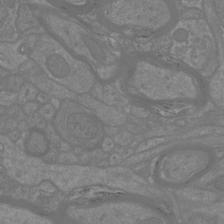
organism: Mouse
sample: Cortical neurons